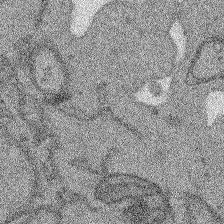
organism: Human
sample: HeLa cells